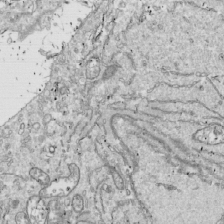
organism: Drosophila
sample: Cell division; meiosis; drosophila spermatocytes